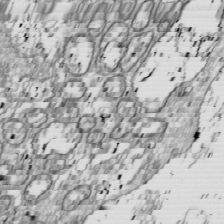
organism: Drosophila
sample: Cell division; meiosis; drosophila spermatocytes